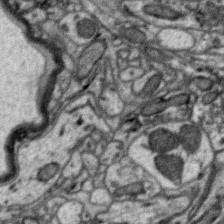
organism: Zebra finch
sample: Brain